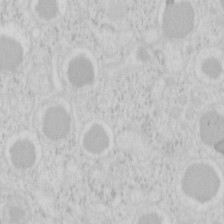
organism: Mouse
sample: Pancreas